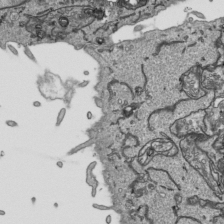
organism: Human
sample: Mitochondria in HCT116 cells